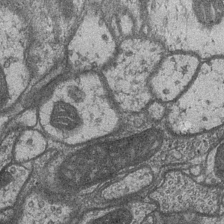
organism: Drosophila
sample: Optic medulla